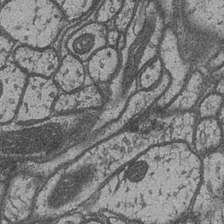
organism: Drosophila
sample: Optic medulla